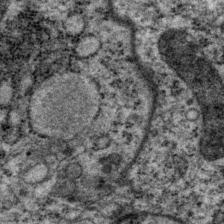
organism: P. pacificus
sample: Pharynx